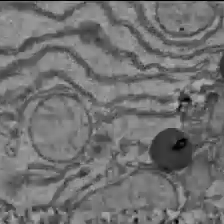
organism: C57BL Mouse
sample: Liver